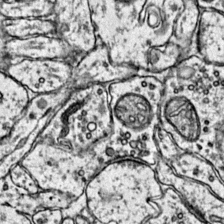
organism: Mouse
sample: Primary visual cortex